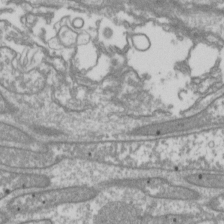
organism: Drosophila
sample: Cell division; meiosis; drosophila spermatocytes